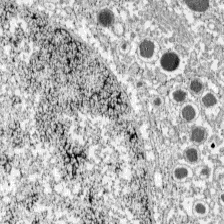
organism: C57BL Mouse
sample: Pancreatic islet